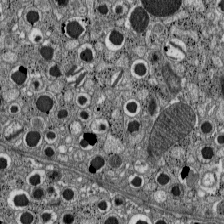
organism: C57BL Mouse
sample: Pancreatic islet